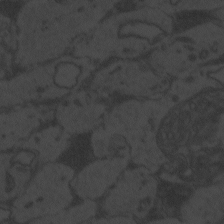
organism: Zebrafish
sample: Macrophage infected with Toxoplasma gondii